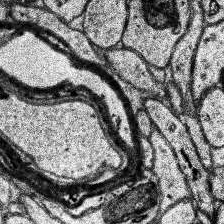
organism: Human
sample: Temporal Lobe